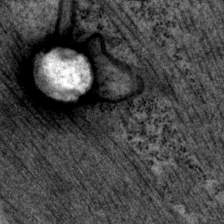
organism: P. pacificus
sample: Pharynx